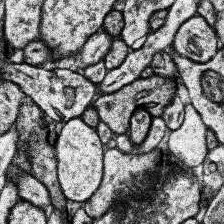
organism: Human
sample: Temporal Lobe